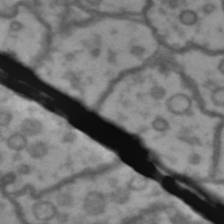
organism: Drosophila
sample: Brain